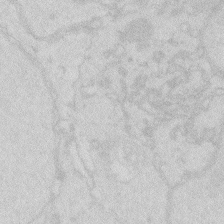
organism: Zebrafish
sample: Macrophage